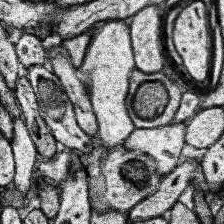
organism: Human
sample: Temporal Lobe